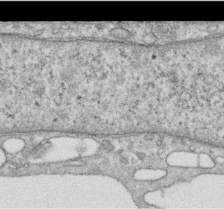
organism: Human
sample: Centriole in RPE cells